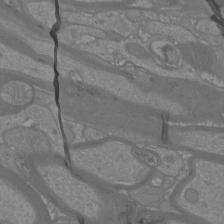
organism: Mouse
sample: Cortical neurons